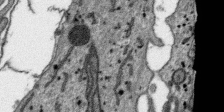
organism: Human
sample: Lung epithelial cells, uninfected (mock) control